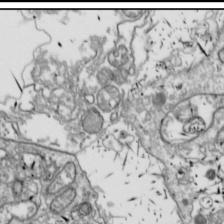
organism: Drosophila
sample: Cell division; meiosis; drosophila spermatocytes